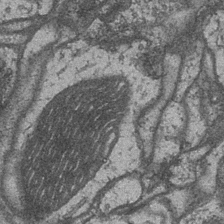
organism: Drosophila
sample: Optic medulla